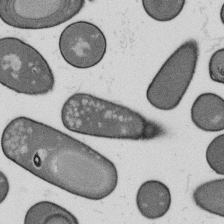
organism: B. subtilis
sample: Bacterial spore